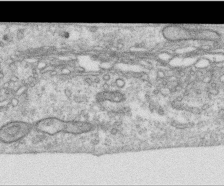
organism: Human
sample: Centriole in RPE cells